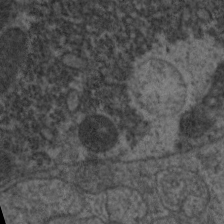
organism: C. elegans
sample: Pharynx